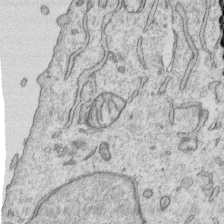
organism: Human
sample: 1205lu cells